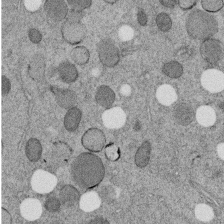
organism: C. elegans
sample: C. elegans embryo early stage